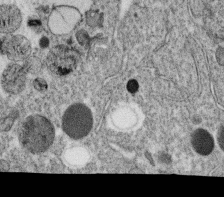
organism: C. elegans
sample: C. elegans oocyte; sperm cells